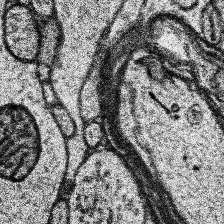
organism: Human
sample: Temporal Lobe